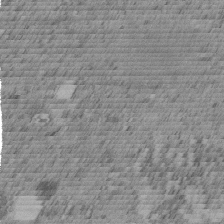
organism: C. elegans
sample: C. elegans embryo early stage